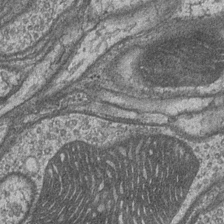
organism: Drosophila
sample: Optic medulla